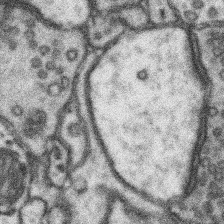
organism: Mouse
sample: Somatosensory cortex neuropil